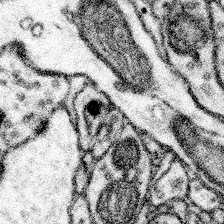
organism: Mouse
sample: Somatosensory cortex neuropil